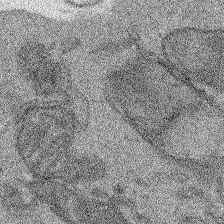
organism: Human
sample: HeLa cells